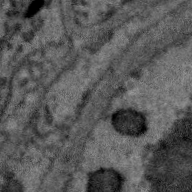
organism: Zebra finch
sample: Brain